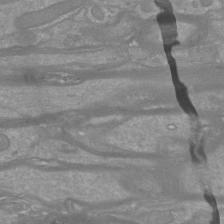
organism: Mouse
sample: Cortical neurons